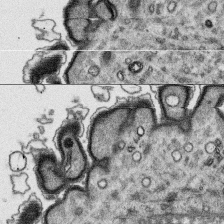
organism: Platynereis dumerilii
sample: Parapodia